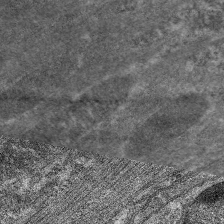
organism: C. elegans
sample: Pharynx